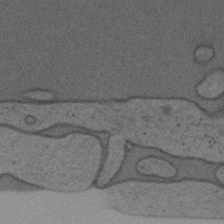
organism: Human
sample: HeLa cells